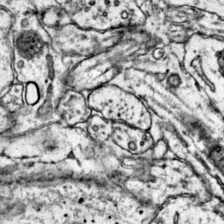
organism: Mouse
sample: Primary visual cortex